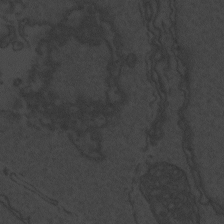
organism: Zebrafish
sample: Macrophage infected with Toxoplasma gondii